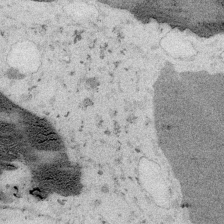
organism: Embia sp.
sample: Silk gland